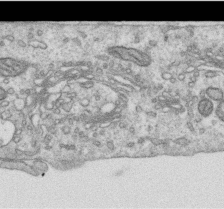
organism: Human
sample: Centriole in RPE cells